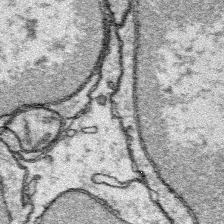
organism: Platynereis dumerilii